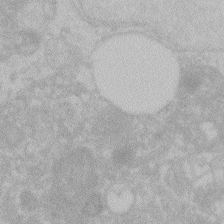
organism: Zebrafish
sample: Macrophage infected with Toxoplasma gondii